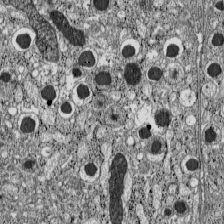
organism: C57BL Mouse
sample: Pancreatic islet